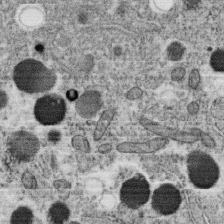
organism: C. elegans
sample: C. elegans oocyte; sperm cells